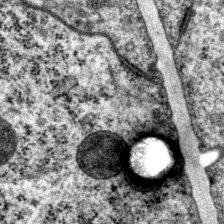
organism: P. pacificus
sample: Pharynx